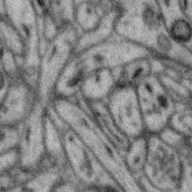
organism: Zebra finch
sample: Brain